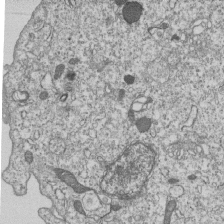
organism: Human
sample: MDA-MB-231 cells